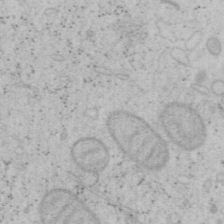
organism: Human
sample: HeLa cells